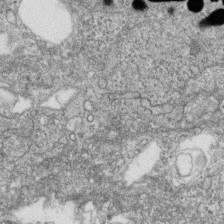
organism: Zebrafish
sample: Cilia; retinal pigment epithelium